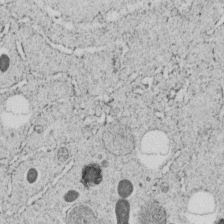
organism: C. elegans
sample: C. elegans embryo early stage